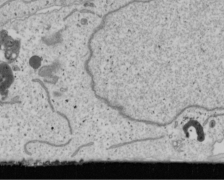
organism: Human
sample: Mitochondria in U2OS cells